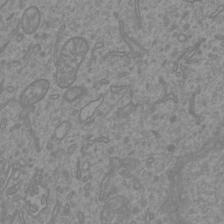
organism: Mouse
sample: Cortical neurons